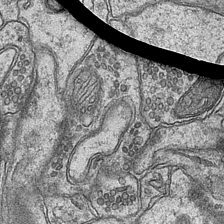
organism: Mouse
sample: CA1 Hippocampus